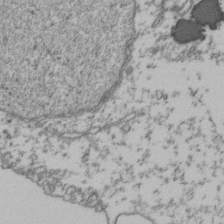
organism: Human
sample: Activated Jurkat CD4+ T cells